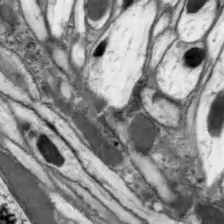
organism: Drosophila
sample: Optic lobe